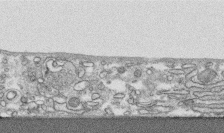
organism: Human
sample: CRL-1474